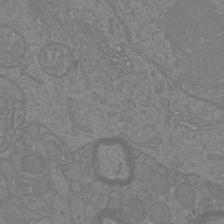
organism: Mouse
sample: Cortical neurons